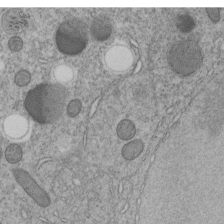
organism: C. elegans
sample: C. elegans embryo early stage